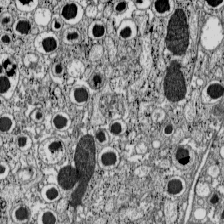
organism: C57BL Mouse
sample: Pancreatic islet